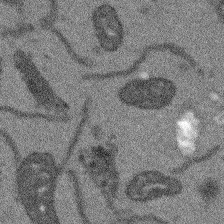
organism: Arabidopsis thaliana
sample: Root tip